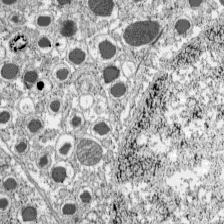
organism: C57BL Mouse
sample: Pancreatic islet